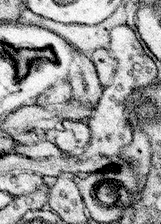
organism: Mouse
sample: Somatosensory cortex neuropil